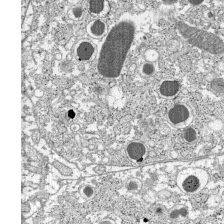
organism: C57BL Mouse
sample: Pancreatic islet